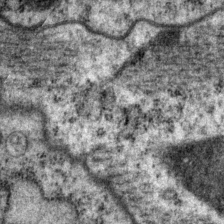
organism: P. pacificus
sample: Pharynx